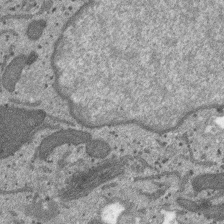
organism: Human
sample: Lung epithelial cells infected with SARS-CoV-2